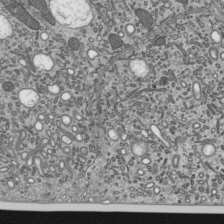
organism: Mouse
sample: Mouse epididymis efferent ductule cilia